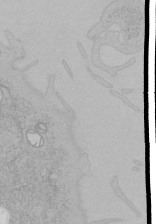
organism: Human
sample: Mitochondria in HCT116 cells